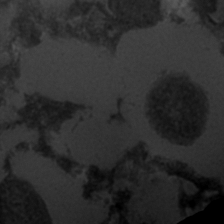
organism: C. elegans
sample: C. elegans embryo